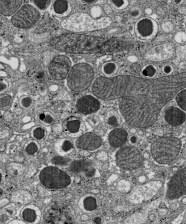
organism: C57BL Mouse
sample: Pancreatic islet